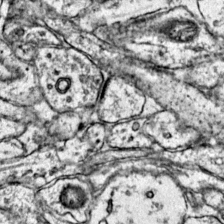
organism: Mouse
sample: Primary visual cortex